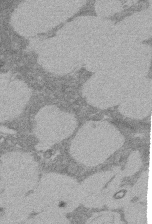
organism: Rat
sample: Salivary granule